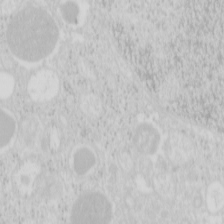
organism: Mouse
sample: Pancreas